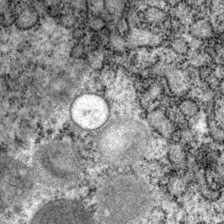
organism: P. pacificus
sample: Pharynx